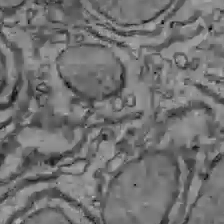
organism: C57BL Mouse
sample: Liver